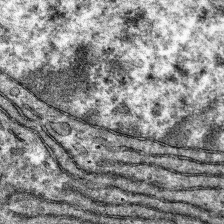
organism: Mouse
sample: Mouse hepatocytes